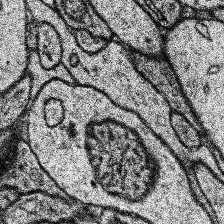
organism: Human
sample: Temporal Lobe